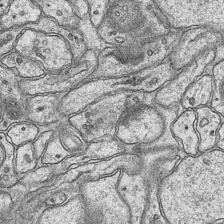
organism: Mouse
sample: CA1 Hippocampus